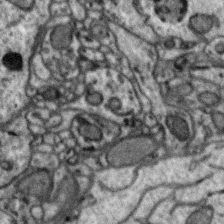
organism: Zebra finch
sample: Brain